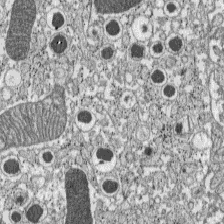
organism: C57BL Mouse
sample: Pancreatic islet